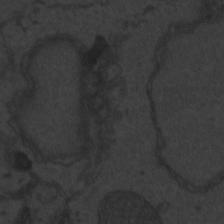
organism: Zebrafish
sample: Macrophage infected with Toxoplasma gondii